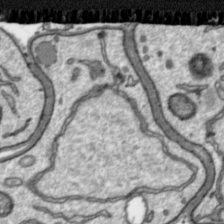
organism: Toxoplasma gondii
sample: Parasites in a vacuole inside a host cell